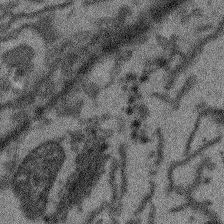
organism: Arabidopsis thaliana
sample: Root tip